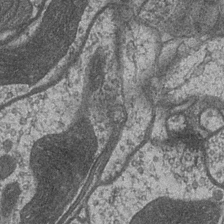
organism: Drosophila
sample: Optic medulla